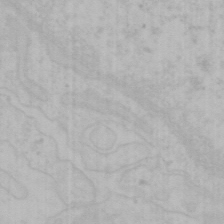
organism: Mouse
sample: Choroid plexus